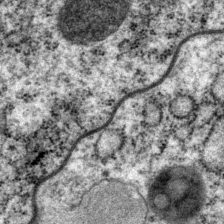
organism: P. pacificus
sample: Pharynx